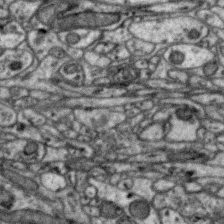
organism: Zebra finch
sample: Brain